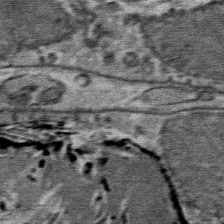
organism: Mouse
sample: Mouse Salivary gland